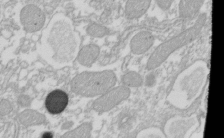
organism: Xenopus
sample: Cilia; centrioles in frog embryo cells